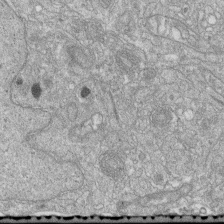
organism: Human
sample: HeLa cell HIV synapse